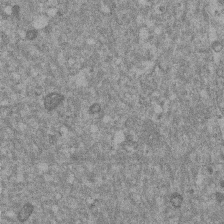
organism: Mouse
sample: Dividing mouse embryo 1 cell stage